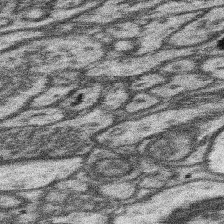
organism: Mouse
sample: Somatosensory cortex neuropil